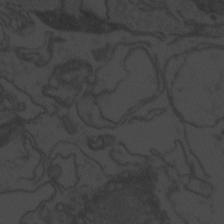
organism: Zebrafish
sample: Macrophage infected with Toxoplasma gondii